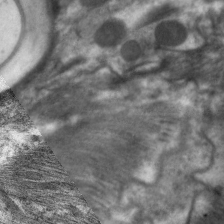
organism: C. elegans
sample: Pharynx